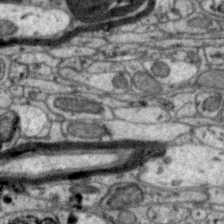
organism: Zebra finch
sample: Brain